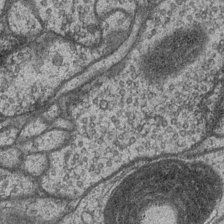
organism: Drosophila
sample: Optic medulla